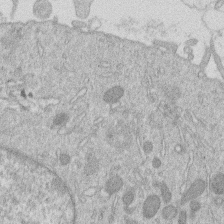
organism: Human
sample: Macrophage cells